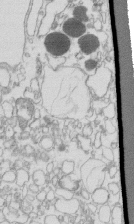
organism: Mouse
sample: Macrophages